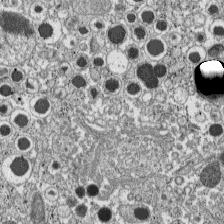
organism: C57BL Mouse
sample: Pancreatic islet